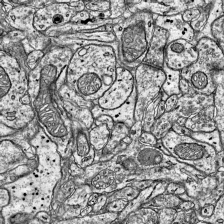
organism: Mouse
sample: Visual Cortex